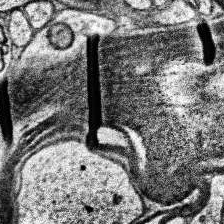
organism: Human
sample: Temporal Lobe